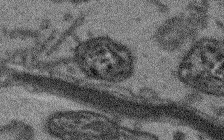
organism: Arabidopsis thaliana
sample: Root tip